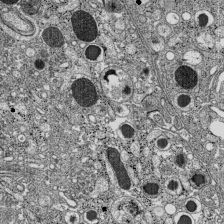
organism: C57BL Mouse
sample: Pancreatic islet